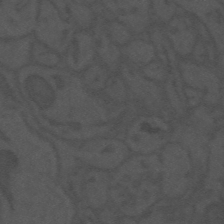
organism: Mouse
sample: Suprachiasmatic nucleus